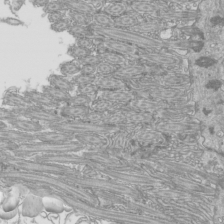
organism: Mouse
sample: Cilia; mouse epididymis